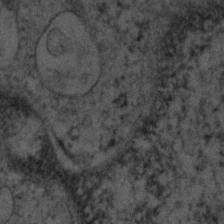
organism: Human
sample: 1205lu cells